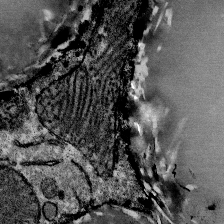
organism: Mouse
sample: Mouse Salivary gland